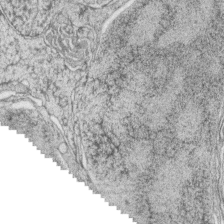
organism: Zebrafish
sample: synaptic ribbons in rod cells and cone cells